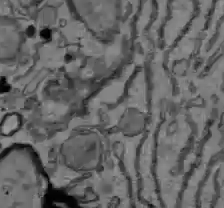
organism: C57BL Mouse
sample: Liver